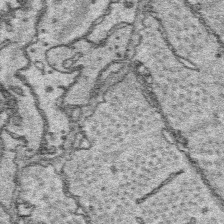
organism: Platynereis dumerilii